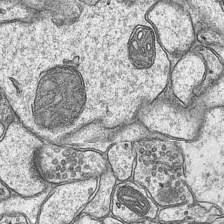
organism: Mouse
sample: CA1 Hippocampus